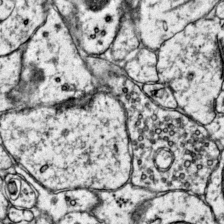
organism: Mouse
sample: Primary visual cortex